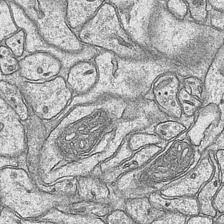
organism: Mouse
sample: CA1 Hippocampus